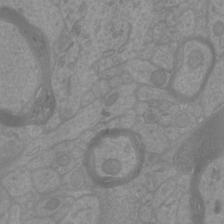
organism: Mouse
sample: Cortical neurons